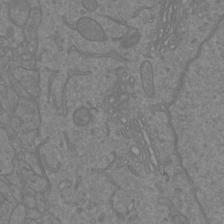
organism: Mouse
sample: Cortical neurons